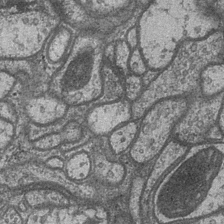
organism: Drosophila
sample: Optic medulla